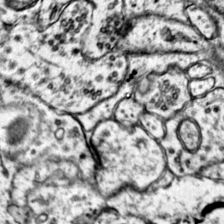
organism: Mouse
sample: Primary visual cortex